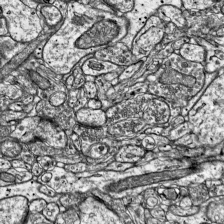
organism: Mouse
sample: Visual Cortex